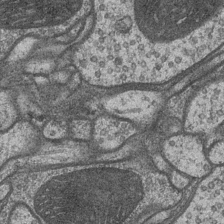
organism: Drosophila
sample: Optic medulla